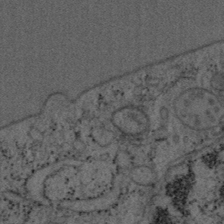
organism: Human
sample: HeLa cells